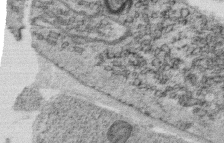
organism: C. elegans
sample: C. elegans oocyte; sperm cells